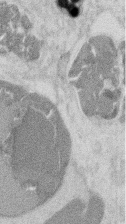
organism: Mouse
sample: T cell stromal cell synapse